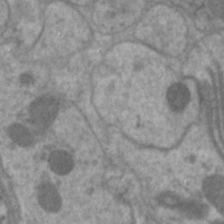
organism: C. elegans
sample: Pharynx